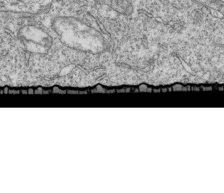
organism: Human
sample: HeLa cell HIV synapse